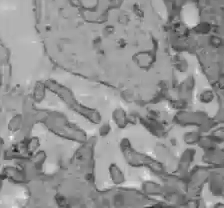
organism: C57BL Mouse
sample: Liver